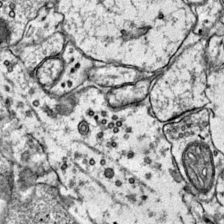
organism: Mouse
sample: Primary visual cortex